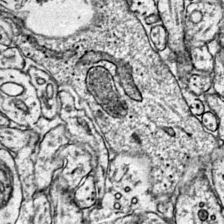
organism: Mouse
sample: Primary visual cortex